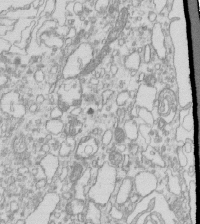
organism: Mouse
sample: Macrophages